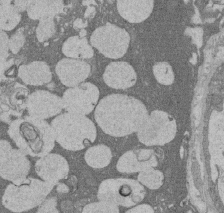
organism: Rat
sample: Salivary granule